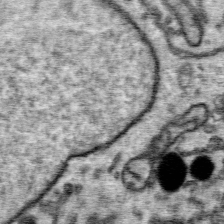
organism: Human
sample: HeLa cells